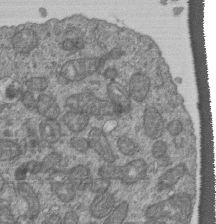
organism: Human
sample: Retinal organoid Rod and Cone cells